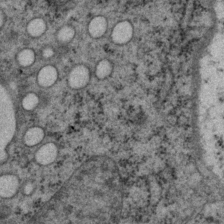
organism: P. pacificus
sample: Pharynx